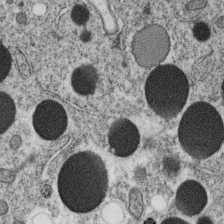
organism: C. elegans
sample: C. elegans oocyte; sperm cells